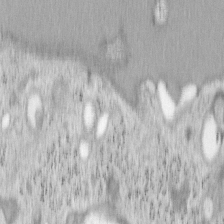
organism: Human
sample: HeLa cells